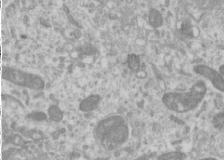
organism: Human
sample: Cilia; basal body in RPE cells